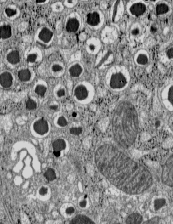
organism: C57BL Mouse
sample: Pancreatic islet